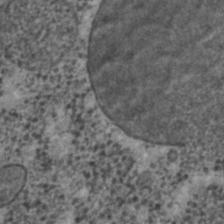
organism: C. elegans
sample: C. elegans embryo